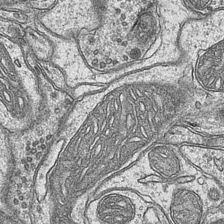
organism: Mouse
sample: CA1 Hippocampus